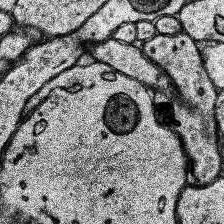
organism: Human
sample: Temporal Lobe